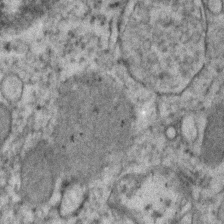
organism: Human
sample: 1205lu cells